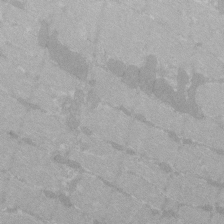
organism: C57BL Mouse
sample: Tibialis anterior muscle cell